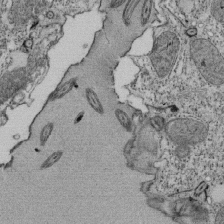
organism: Tetrahymena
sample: Cilia in tetrahymena